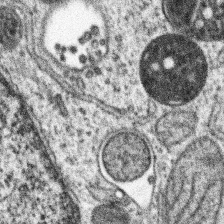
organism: Human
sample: HeLa cells